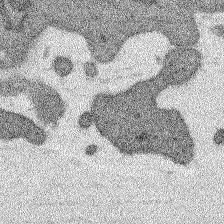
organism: Human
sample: HeLa cells